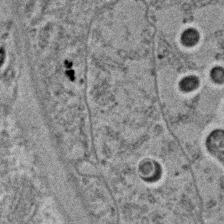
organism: C. elegans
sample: C. elegans embryo